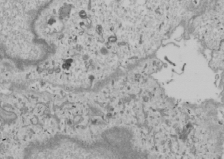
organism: Human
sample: Mitochondria in U2OS cells